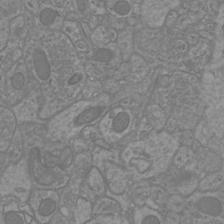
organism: Mouse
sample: Cortical neurons